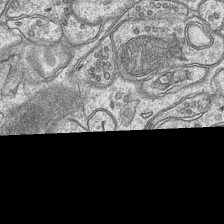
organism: Mouse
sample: CA1 Hippocampus